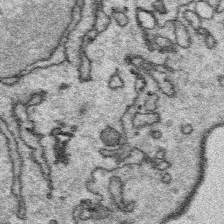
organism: Platynereis dumerilii